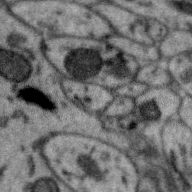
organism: Zebra finch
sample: Brain